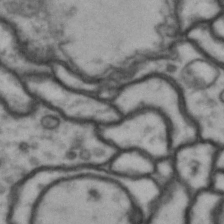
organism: Drosophila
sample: Brain